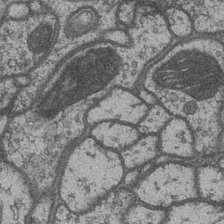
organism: Drosophila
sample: Optic medulla